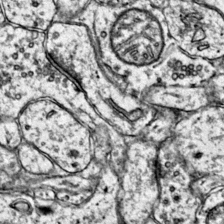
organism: Mouse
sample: Primary visual cortex